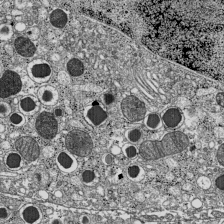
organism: C57BL Mouse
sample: Pancreatic islet